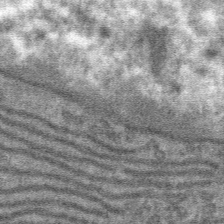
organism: Mouse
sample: Mouse hepatocytes